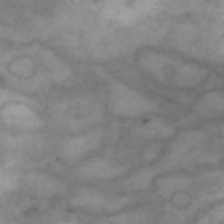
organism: Drosophila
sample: Brain